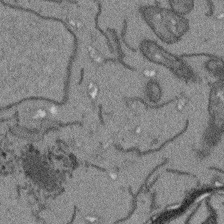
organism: Arabidopsis thaliana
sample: Root tip